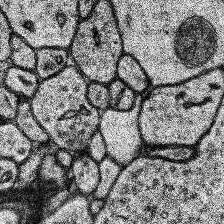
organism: Human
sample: Temporal Lobe